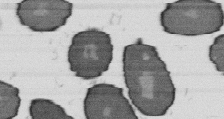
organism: B. subtilis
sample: Bacterial spore